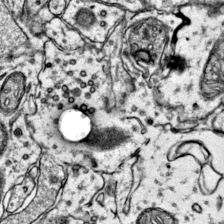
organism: Mouse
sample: Primary visual cortex